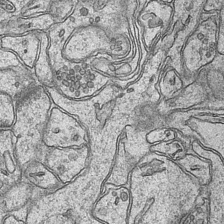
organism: Mouse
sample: CA1 Hippocampus